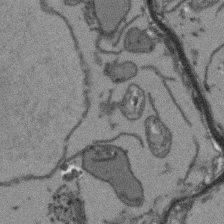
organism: Arabidopsis thaliana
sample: Root tip